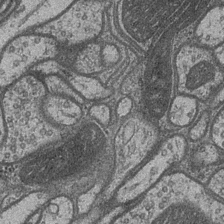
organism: Drosophila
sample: Optic medulla